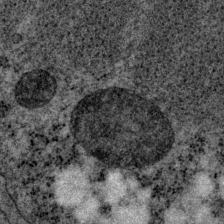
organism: P. pacificus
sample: Pharynx